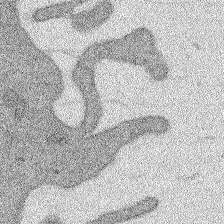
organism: Human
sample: HeLa cells